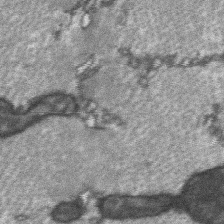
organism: C57BL Mouse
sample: Soleus